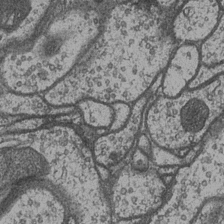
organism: Drosophila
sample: Optic medulla